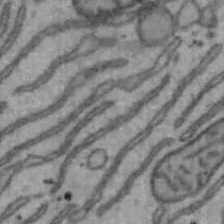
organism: Mouse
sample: Liver